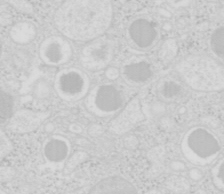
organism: Mouse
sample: Pancreas